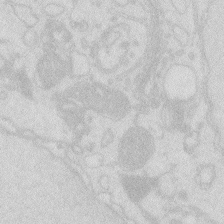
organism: Zebrafish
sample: Macrophage